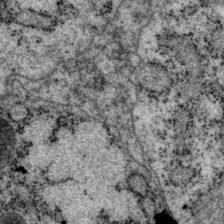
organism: P. pacificus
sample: Pharynx